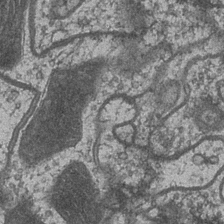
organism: Drosophila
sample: Optic medulla